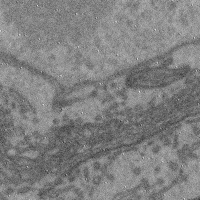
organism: Mouse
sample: Cerebral cortex